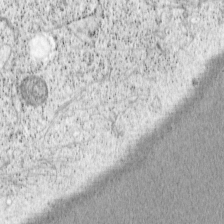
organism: African green monkey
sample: COS-7 cells